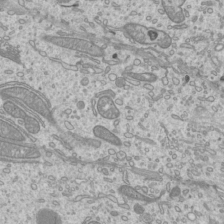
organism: Mouse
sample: Cilia; mouse epididymis